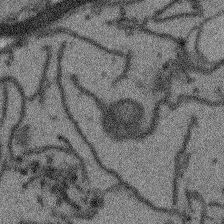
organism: Arabidopsis thaliana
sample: Root tip